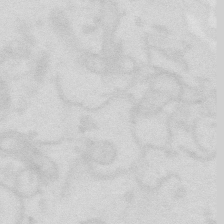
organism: Human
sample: HeLa cells